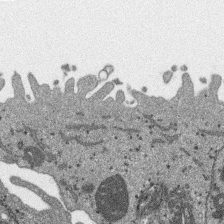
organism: Human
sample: Lung epithelial cells infected with SARS-CoV-2